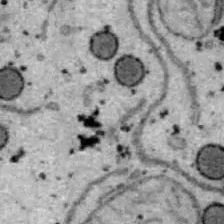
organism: Mouse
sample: Liver from an obese (ob/ob) mouse